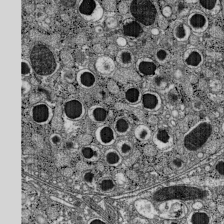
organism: C57BL Mouse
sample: Pancreatic islet